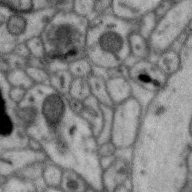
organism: Zebra finch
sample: Brain